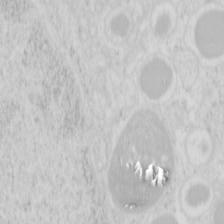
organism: Mouse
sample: Pancreas